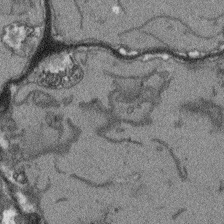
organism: Arabidopsis thaliana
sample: Root tip